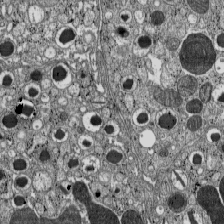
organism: C57BL Mouse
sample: Pancreatic islet